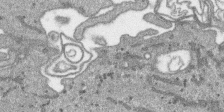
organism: Human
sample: Lung epithelial cells infected with SARS-CoV-2